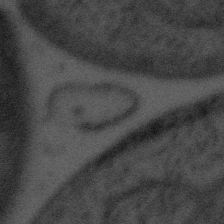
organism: Tuwongella immobilis